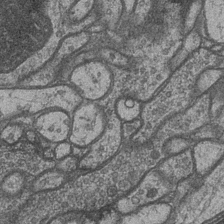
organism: Drosophila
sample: Optic medulla